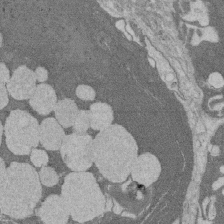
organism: Rat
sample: Salivary granule